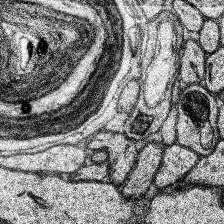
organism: Human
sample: Temporal Lobe